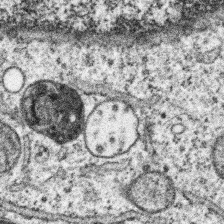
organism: Human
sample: HeLa cells